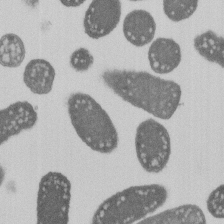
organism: E. coli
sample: Bacterial nucleoid